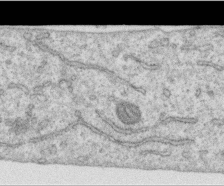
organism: Human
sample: Centriole in RPE cells